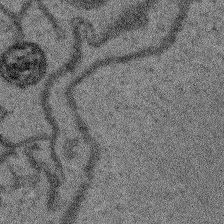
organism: Arabidopsis thaliana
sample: Root tip